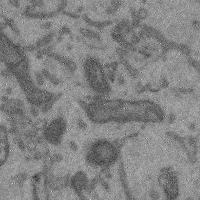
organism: Mouse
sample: Cerebral cortex